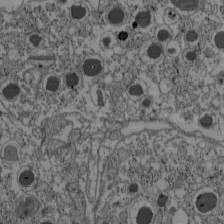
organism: C57BL Mouse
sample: Pancreatic islet